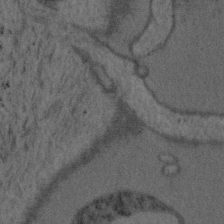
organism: Human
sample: HeLa cells